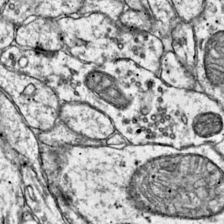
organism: Mouse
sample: Primary visual cortex